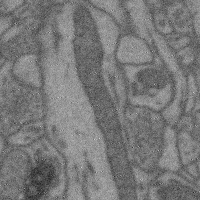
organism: Mouse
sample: Cerebral cortex